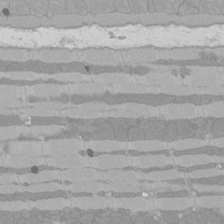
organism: Rat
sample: Left ventricle